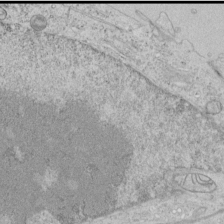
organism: Human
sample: Mitochondria in HCT116 cells